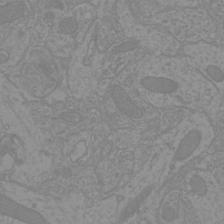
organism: Mouse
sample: Cortical neurons